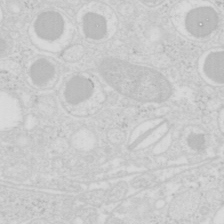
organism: Mouse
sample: Pancreas